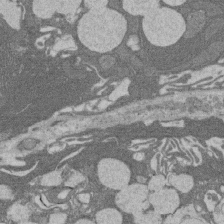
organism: Rat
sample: Salivary granule